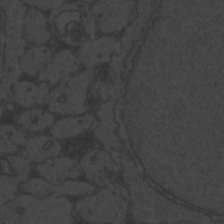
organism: Zebrafish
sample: Macrophage infected with Toxoplasma gondii